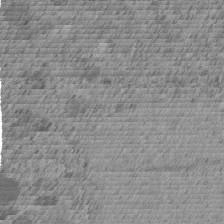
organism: C. elegans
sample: C. elegans embryo early stage